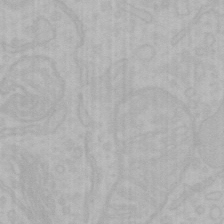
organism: Mouse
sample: Choroid plexus